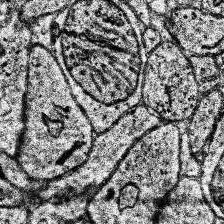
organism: Human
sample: Temporal Lobe